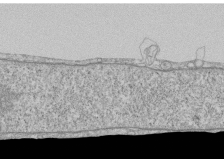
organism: Human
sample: CRL-1474